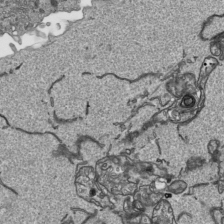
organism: Human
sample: Mitochondria in HCT116 cells